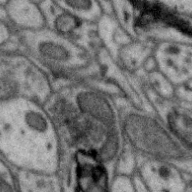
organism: Zebra finch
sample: Brain